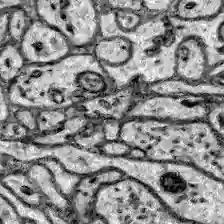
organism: Zebrafish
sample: Brain